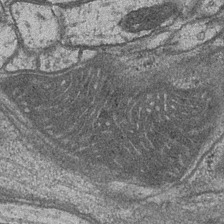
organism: Drosophila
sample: Optic medulla